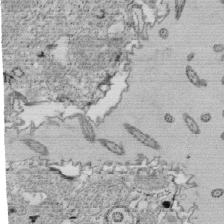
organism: Tetrahymena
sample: Cilia in tetrahymena